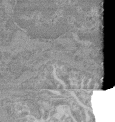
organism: Mouse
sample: Glomerulus